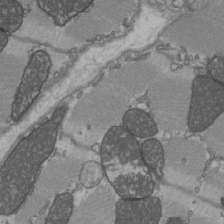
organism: C57BL Mouse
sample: Heart